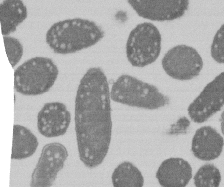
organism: E. coli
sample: Bacterial nucleoid